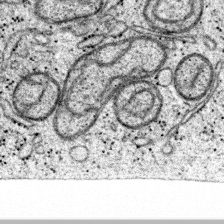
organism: Human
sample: HeLa cells